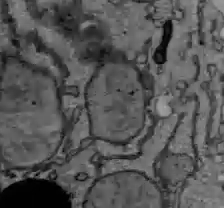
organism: C57BL Mouse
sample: Liver